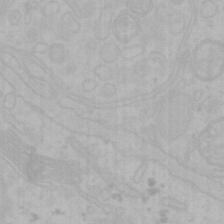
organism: Mouse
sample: Choroid plexus